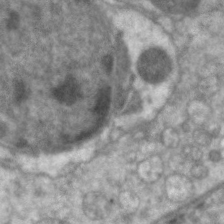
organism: C. elegans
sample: Pharynx